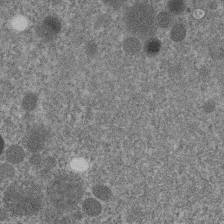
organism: C. elegans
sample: C. elegans embryo early stage